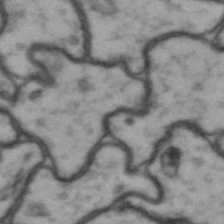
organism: Drosophila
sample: Brain